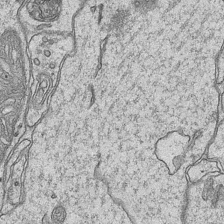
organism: Mouse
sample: CA1 Hippocampus